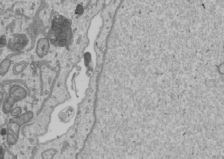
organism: Human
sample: Mitochondria in U2OS cells